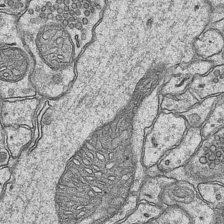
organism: Mouse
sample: CA1 Hippocampus